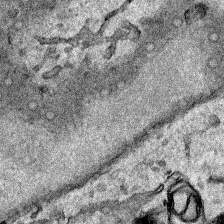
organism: Human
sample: Mitochondria in HCT116 cells